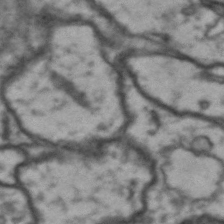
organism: Drosophila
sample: Brain